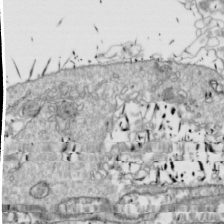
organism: Drosophila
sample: Cell division; meiosis; drosophila spermatocytes